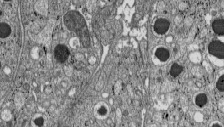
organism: C57BL Mouse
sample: Pancreatic islet